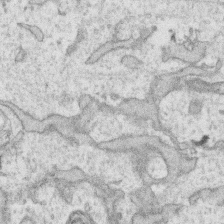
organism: Human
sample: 1205lu cells